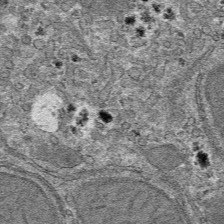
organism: Mouse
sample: Mouse hepatocytes